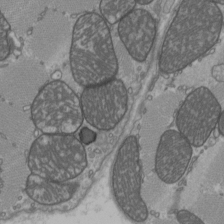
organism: C57BL Mouse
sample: Heart